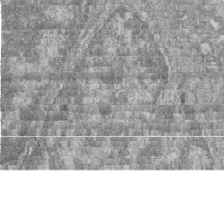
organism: Zebrafish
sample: Cilia; retinal pigment epithelium